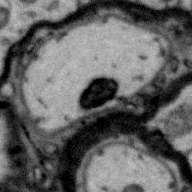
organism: Zebra finch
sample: Brain